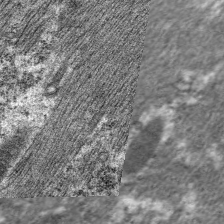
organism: C. elegans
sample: Pharynx